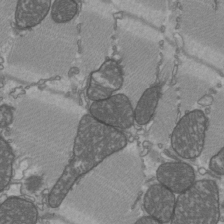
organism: C57BL Mouse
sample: Heart